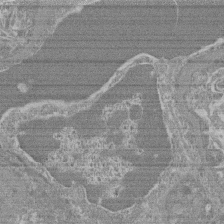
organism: Mouse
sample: Glomerulus